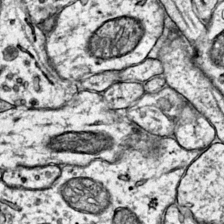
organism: Mouse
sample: Primary visual cortex